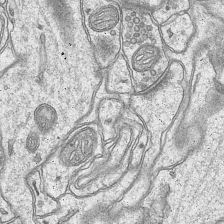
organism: Mouse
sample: CA1 Hippocampus